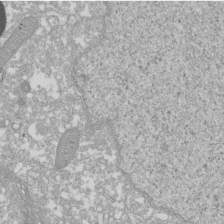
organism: Xenopus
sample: Cilia; centrioles in frog embryo cells